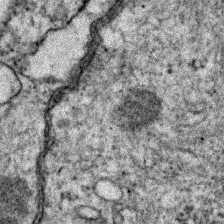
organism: Zebrafish